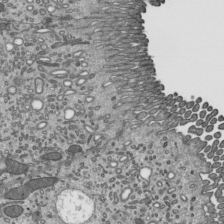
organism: Mouse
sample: Mouse epididymis efferent ductule cilia